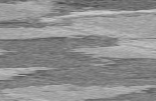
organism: C57BL Mouse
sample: Heart